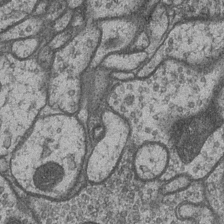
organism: Drosophila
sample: Optic medulla